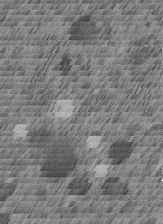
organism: C. elegans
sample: C. elegans embryo early stage